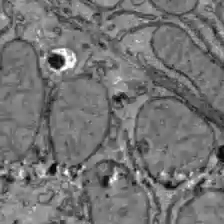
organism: C57BL Mouse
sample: Liver